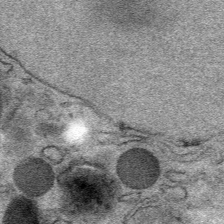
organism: Mouse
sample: Mouse Salivary gland